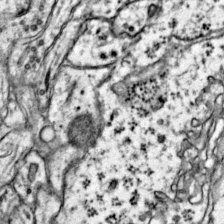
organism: Mouse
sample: Primary visual cortex